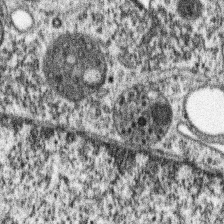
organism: Human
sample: HeLa cells